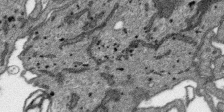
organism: Human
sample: Lung epithelial cells, uninfected (mock) control